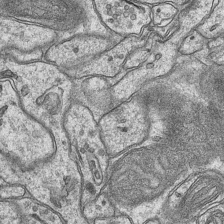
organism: Mouse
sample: CA1 Hippocampus